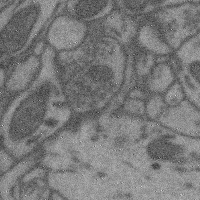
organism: Mouse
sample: Cerebral cortex